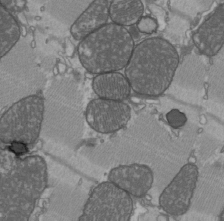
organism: C57BL Mouse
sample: Heart